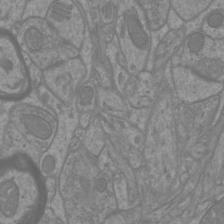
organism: Mouse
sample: Cortical neurons